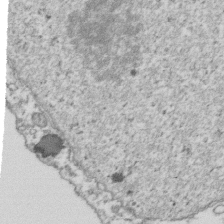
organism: Human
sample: Activated Jurkat CD4+ T cells